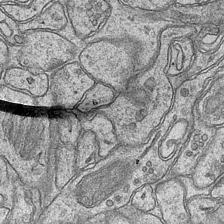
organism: Mouse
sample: CA1 Hippocampus